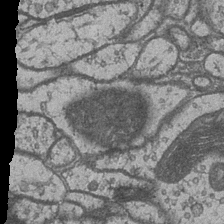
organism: Drosophila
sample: Optic medulla